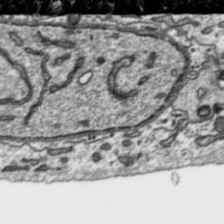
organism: Toxoplasma gondii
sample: Parasites in a vacuole inside a host cell